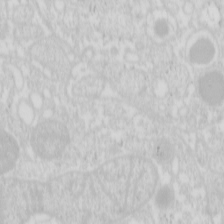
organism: Mouse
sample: Pancreas